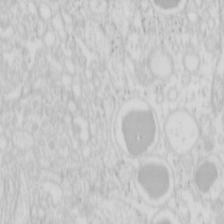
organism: Mouse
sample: Pancreas